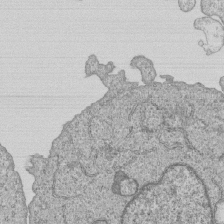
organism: Human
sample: MDA-MB-231 cells